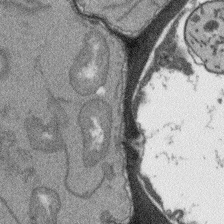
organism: Arabidopsis thaliana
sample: Root tip